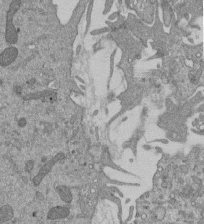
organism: Mouse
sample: ED-1 cell nuclei; centrioles